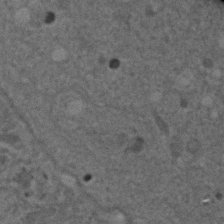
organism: C. elegans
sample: C. elegans embryo